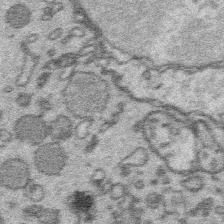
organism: Platynereis dumerilii